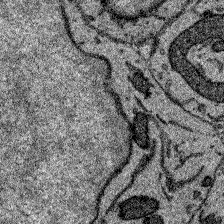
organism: Zebrafish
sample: Larval olfactory bulb